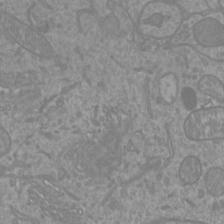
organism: Mouse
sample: Cortical neurons